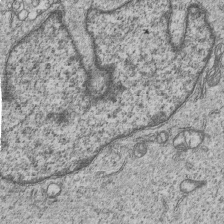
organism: Human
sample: MDA-MB-231 cells